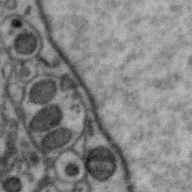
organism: Zebra finch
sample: Brain